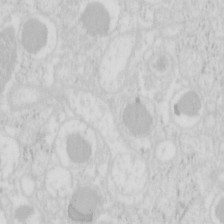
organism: Mouse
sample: Pancreas